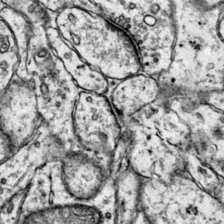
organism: Mouse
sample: Primary visual cortex